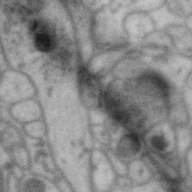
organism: Zebra finch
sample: Brain